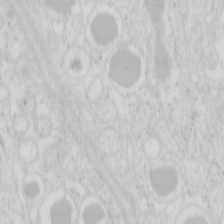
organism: Mouse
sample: Pancreas